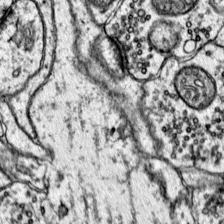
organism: Mouse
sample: Primary visual cortex